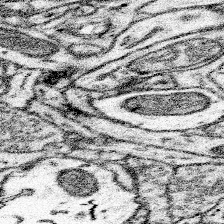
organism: Mouse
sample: Somatosensory cortex neuropil